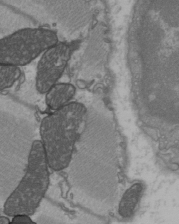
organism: C57BL Mouse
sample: Heart